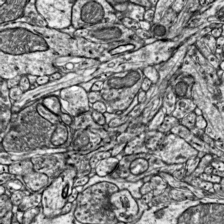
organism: Mouse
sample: Visual Cortex